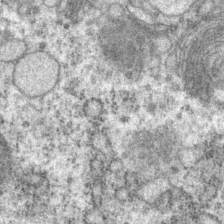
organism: P. pacificus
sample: Pharynx